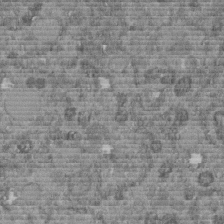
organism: C. elegans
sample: C. elegans embryo early stage